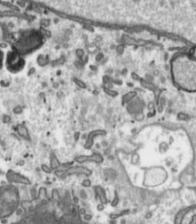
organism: Toxoplasma gondii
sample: Parasites in a vacuole inside a host cell